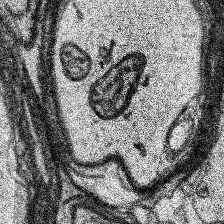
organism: Human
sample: Temporal Lobe